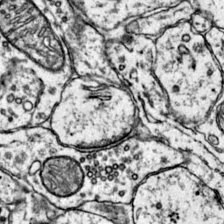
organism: Mouse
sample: Primary visual cortex